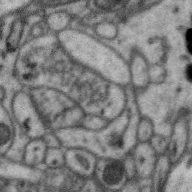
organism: Zebra finch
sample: Brain